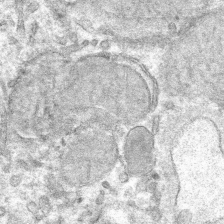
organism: Mouse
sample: Mouse hepatocytes